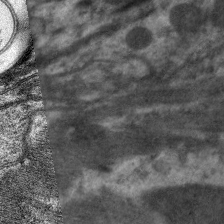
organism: C. elegans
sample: Pharynx